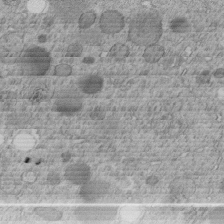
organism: C. elegans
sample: C. elegans embryo early stage